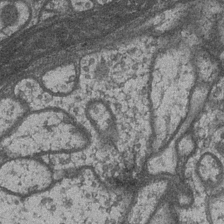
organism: Drosophila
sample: Optic medulla